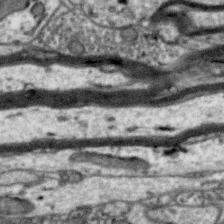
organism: Zebra finch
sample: Brain